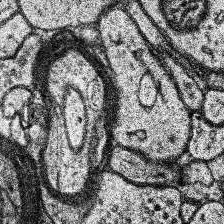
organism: Human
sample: Temporal Lobe